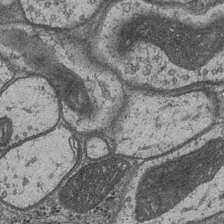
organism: Drosophila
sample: Optic medulla